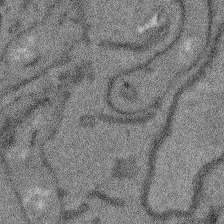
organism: Arabidopsis thaliana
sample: Root tip